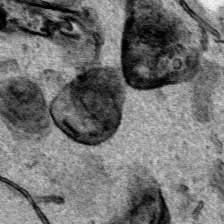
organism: Human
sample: Mitochondria in HCT116 cells